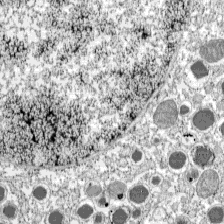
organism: C57BL Mouse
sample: Pancreatic islet